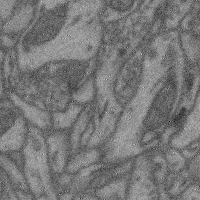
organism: Mouse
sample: Cerebral cortex